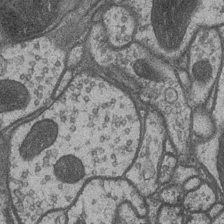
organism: Drosophila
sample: Optic medulla